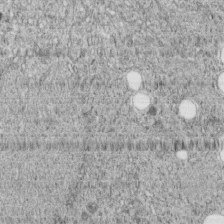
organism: C. elegans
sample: C. elegans embryo early stage